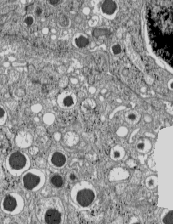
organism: C57BL Mouse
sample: Pancreatic islet